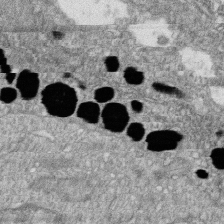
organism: Zebrafish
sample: Cilia; retinal pigment epithelium